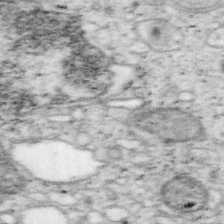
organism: Mouse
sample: OT-I killer T cells with ID8 ovarian cancer cells